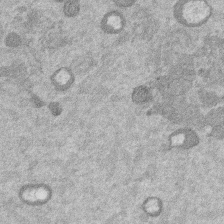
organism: Mouse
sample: Dividing mouse embryo 1 cell stage